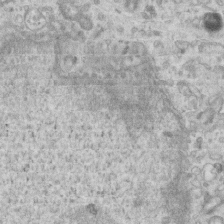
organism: Mouse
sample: Centriole in ependymal cells